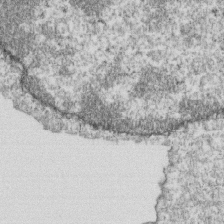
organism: Mouse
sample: Activated OT-1 CD8+ T cells